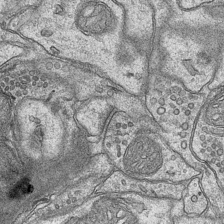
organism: Mouse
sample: CA1 Hippocampus